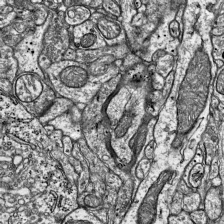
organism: Mouse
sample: Visual Cortex